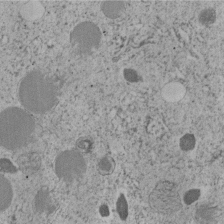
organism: C. elegans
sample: C. elegans embryo early stage